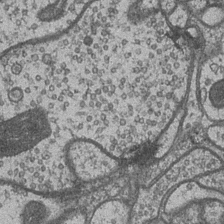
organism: Drosophila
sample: Optic medulla